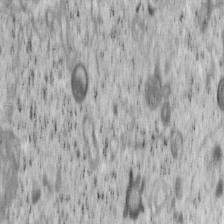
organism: Human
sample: HeLa cells